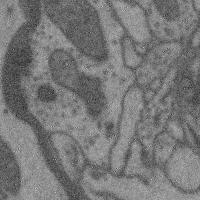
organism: Mouse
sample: Cerebral cortex